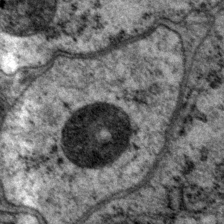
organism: P. pacificus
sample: Pharynx